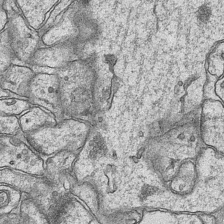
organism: Mouse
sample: CA1 Hippocampus